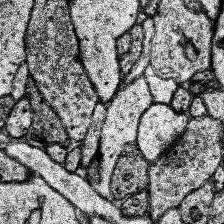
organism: Human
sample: Temporal Lobe